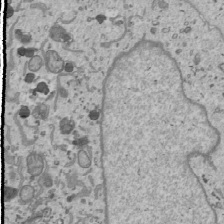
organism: Human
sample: Mitochondria in U2OS cells